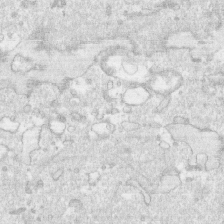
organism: Human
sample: CRL-1474